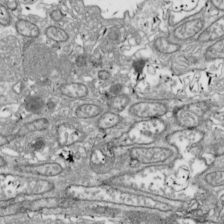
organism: Drosophila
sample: Cell division; meiosis; drosophila spermatocytes